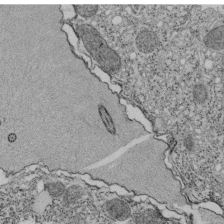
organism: Tetrahymena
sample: Cilia in tetrahymena